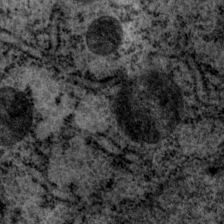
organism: P. pacificus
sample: Pharynx